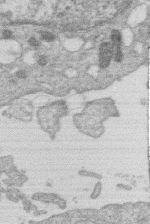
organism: Human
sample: Macrophage cells